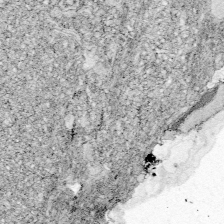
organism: Zebrafish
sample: Whole-Brain